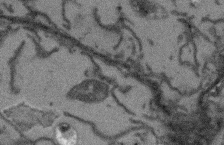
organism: Arabidopsis thaliana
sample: Root tip